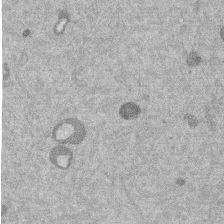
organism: Mouse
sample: Dividing mouse embryo 1 cell stage